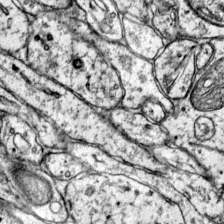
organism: Mouse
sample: Primary visual cortex